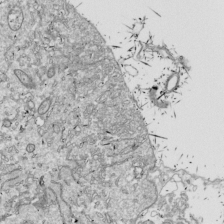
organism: Drosophila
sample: Cell division; meiosis; drosophila spermatocytes